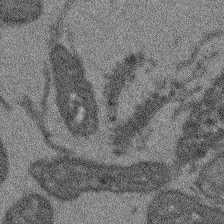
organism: Arabidopsis thaliana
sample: Root tip